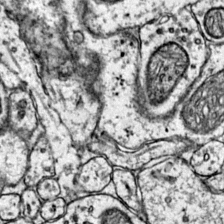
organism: Mouse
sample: Primary visual cortex